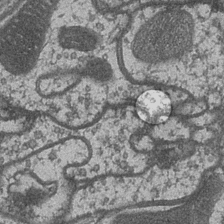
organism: Drosophila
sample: Optic medulla